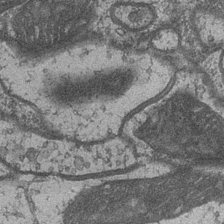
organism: Drosophila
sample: Optic medulla